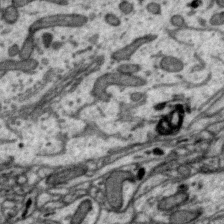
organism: Zebra finch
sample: Brain